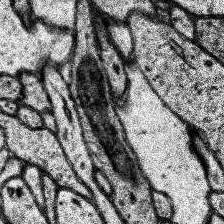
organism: Human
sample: Temporal Lobe